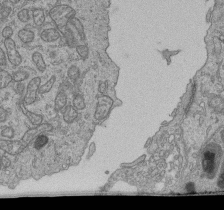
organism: Human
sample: Retinal organoid Rod and Cone cells